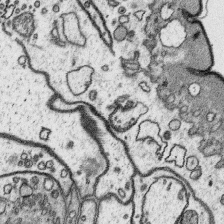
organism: Platynereis dumerilii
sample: Parapodia